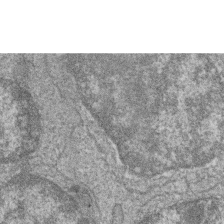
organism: Zebrafish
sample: Cilia; retinal pigment epithelium